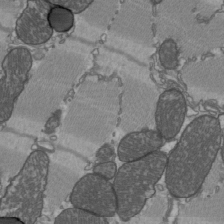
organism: C57BL Mouse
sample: Heart